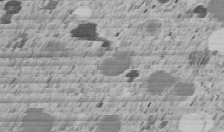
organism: C. elegans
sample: C. elegans embryo early stage